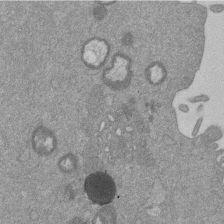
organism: Mouse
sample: Dividing mouse embryo 1 cell stage